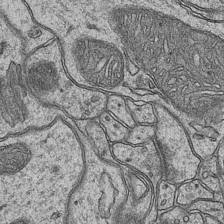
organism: Mouse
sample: CA1 Hippocampus